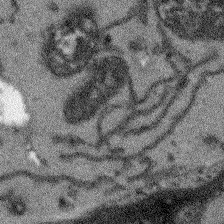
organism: Arabidopsis thaliana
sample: Root tip